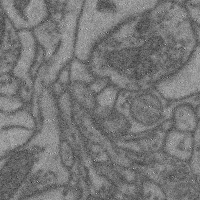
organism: Mouse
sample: Cerebral cortex